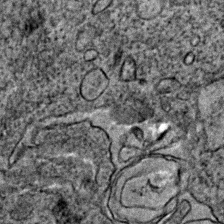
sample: Trachea